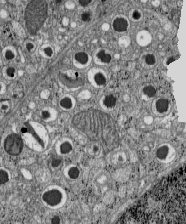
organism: C57BL Mouse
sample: Pancreatic islet